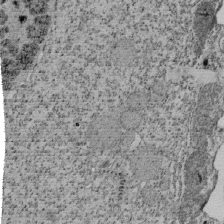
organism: Tetrahymena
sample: Cilia in tetrahymena